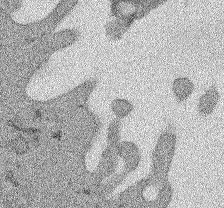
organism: Human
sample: HeLa cells